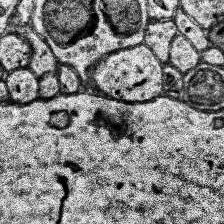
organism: Human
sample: Temporal Lobe